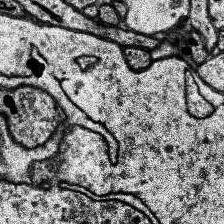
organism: Human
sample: Temporal Lobe